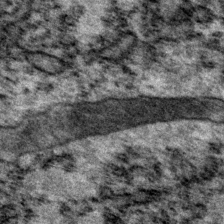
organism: P. pacificus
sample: Pharynx